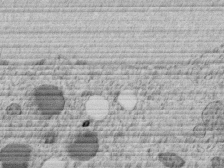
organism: C. elegans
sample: C. elegans embryo early stage